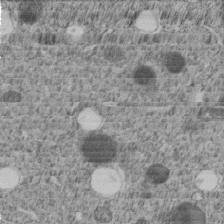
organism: C. elegans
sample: C. elegans embryo early stage